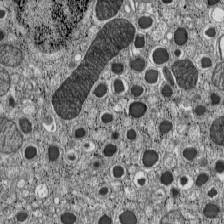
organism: C57BL Mouse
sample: Pancreatic islet